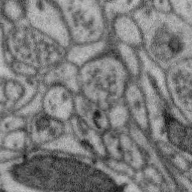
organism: Zebra finch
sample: Brain